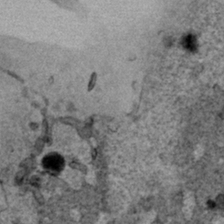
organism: Human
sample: Mitochondria in HCT116 cells